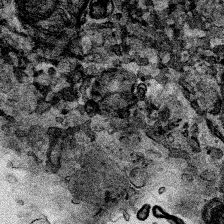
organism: Human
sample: Mitochondria in HCT116 cells